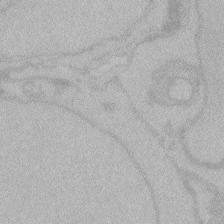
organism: Zebrafish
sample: Macrophage infected with Toxoplasma gondii